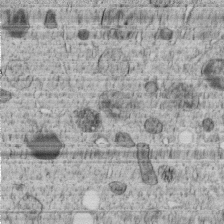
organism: C. elegans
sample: C. elegans embryo early stage